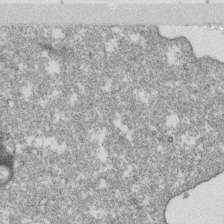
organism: African green monkey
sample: Vero E6 cells infected with SARS-CoV-2